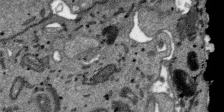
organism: Human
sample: Lung epithelial cells, uninfected (mock) control